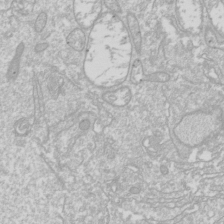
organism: Drosophila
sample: Cell division; meiosis; drosophila spermatocytes